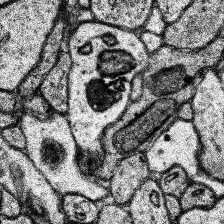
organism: Human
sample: Temporal Lobe